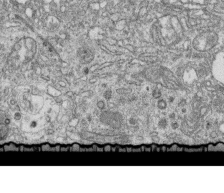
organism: Human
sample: HeLa cell HIV synapse